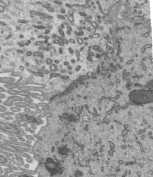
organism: Mouse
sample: Mouse epididymis efferent ductule cilia